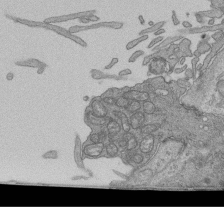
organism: Human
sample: Retinal organoid Rod and Cone cells